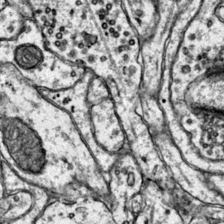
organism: Mouse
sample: Primary visual cortex